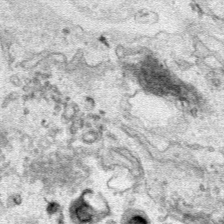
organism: Human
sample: Mitochondria in HCT116 cells